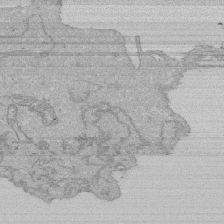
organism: Human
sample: Activated Jurkat CD4+ T cells